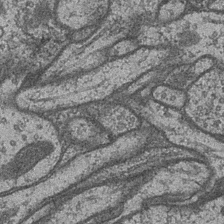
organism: Drosophila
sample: Optic medulla